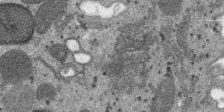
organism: Human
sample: Lung epithelial cells infected with SARS-CoV-2